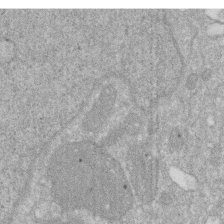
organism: Human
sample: HIV infected U937 cells